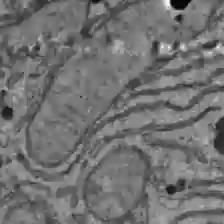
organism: C57BL Mouse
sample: Liver